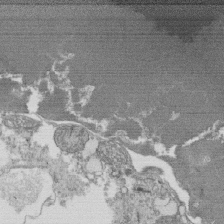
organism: Tetrahymena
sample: Cilia in tetrahymena